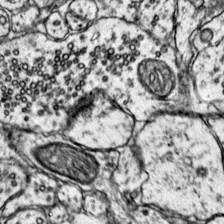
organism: Mouse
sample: Primary visual cortex